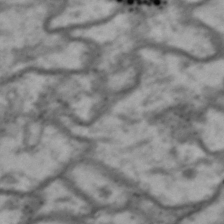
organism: Drosophila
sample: Brain